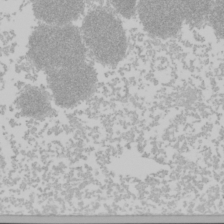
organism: Mouse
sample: Cancer cell death in ED-1 cells